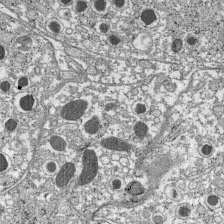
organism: C57BL Mouse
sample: Pancreatic islet